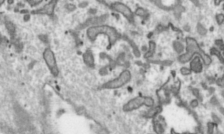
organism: Toxoplasma gondii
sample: Parasites in a vacuole inside a host cell